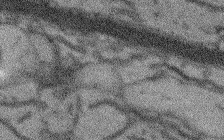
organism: Arabidopsis thaliana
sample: Root tip